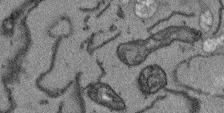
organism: Arabidopsis thaliana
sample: Root tip